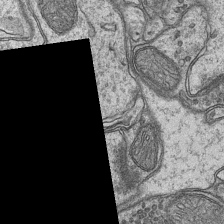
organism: Mouse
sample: CA1 Hippocampus